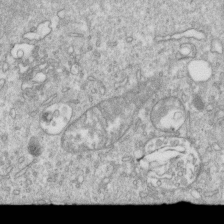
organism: Mouse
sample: Activated OT-1 CD8+ T cells